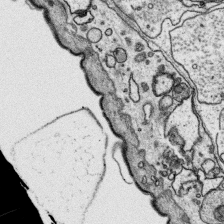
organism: Platynereis dumerilii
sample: Parapodia